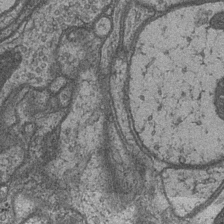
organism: Drosophila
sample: Optic medulla